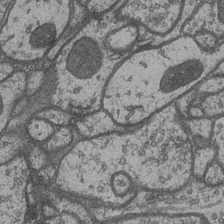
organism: Drosophila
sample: Optic medulla